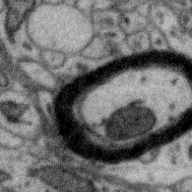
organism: Zebra finch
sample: Brain